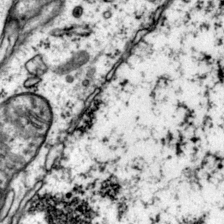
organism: Mouse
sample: Primary visual cortex